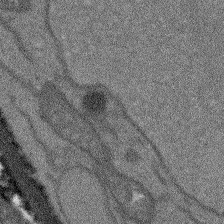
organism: Arabidopsis thaliana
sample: Root tip